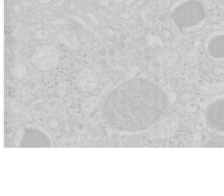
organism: Mouse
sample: Pancreas